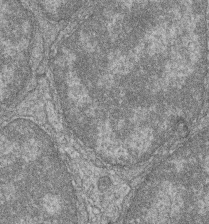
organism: Zebrafish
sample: Cilia; retinal pigment epithelium